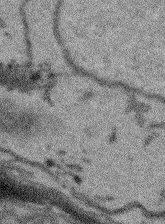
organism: Arabidopsis thaliana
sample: Root tip